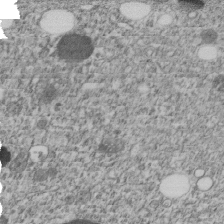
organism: C. elegans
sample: C. elegans embryo early stage